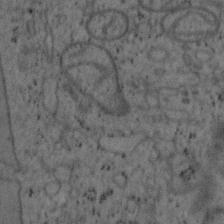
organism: Human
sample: HeLa cells